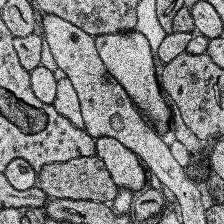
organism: Human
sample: Temporal Lobe